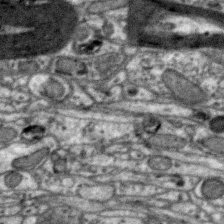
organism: Zebra finch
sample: Brain